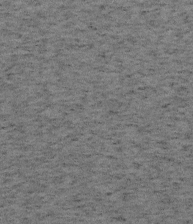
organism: Mouse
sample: OT-I killer T cells with ID8 ovarian cancer cells